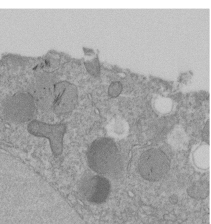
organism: C. elegans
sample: C. elegans embryo early stage